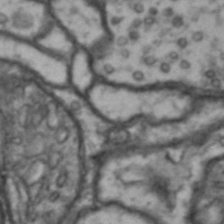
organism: Drosophila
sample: Brain